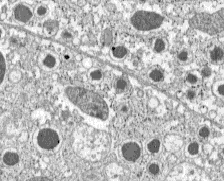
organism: C57BL Mouse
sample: Pancreatic islet